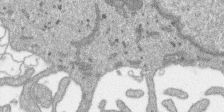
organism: Human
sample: Lung epithelial cells infected with SARS-CoV-2